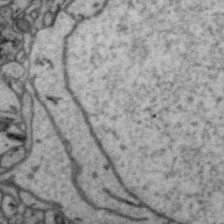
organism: Zebra finch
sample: Brain